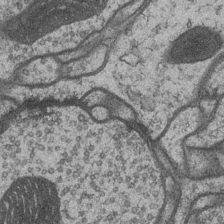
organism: Drosophila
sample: Optic medulla